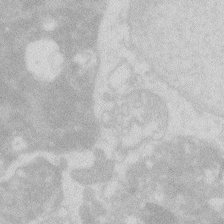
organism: Zebrafish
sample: Macrophage